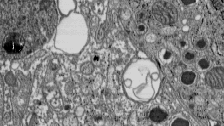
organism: C57BL Mouse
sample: Pancreatic islet